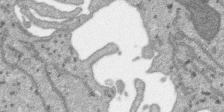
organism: Human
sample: Lung epithelial cells infected with SARS-CoV-2